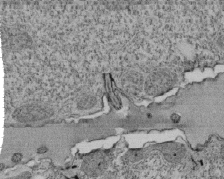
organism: Tetrahymena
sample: Cilia in tetrahymena